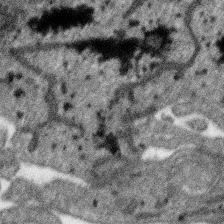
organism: Human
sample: Lung epithelial cells infected with SARS-CoV-2